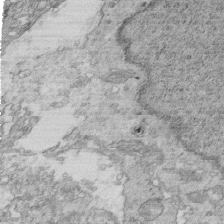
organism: Mouse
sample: Multiciliated cells